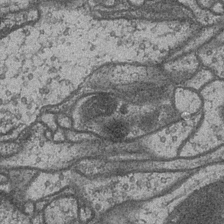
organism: Drosophila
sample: Optic medulla